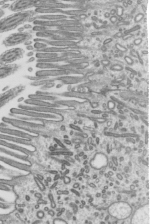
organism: Mouse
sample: Mouse epididymis efferent ductule cilia